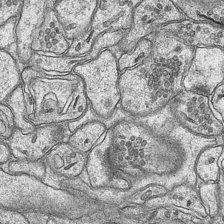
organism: Mouse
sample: CA1 Hippocampus